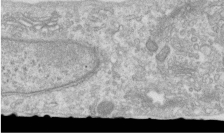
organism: Human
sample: Centriole in RPE cells